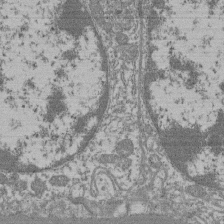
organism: Mouse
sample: Glomerulus